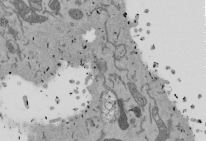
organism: Mouse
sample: ED-1 cell nuclei; centrioles